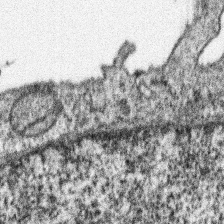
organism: Human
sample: HeLa cells